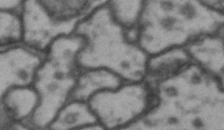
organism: Drosophila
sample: Brain